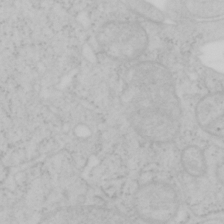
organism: Mouse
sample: OT-I killer T cells with ID8 ovarian cancer cells